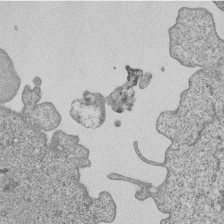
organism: Human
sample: MDA-MB-231 cells